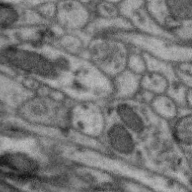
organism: Zebra finch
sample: Brain